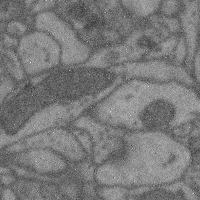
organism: Mouse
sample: Cerebral cortex